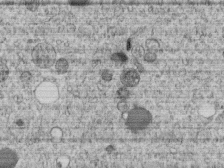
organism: C. elegans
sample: C. elegans embryo early stage